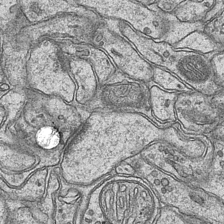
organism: Mouse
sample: CA1 Hippocampus